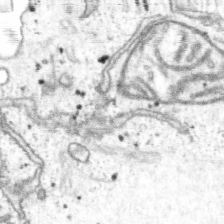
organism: Human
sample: HeLa cells